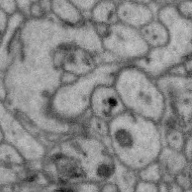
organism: Zebra finch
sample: Brain